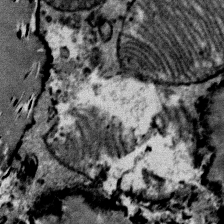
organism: Mouse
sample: Mouse Salivary gland